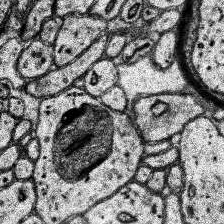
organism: Human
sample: Temporal Lobe